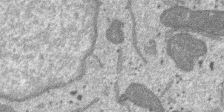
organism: Human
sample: Lung epithelial cells infected with SARS-CoV-2